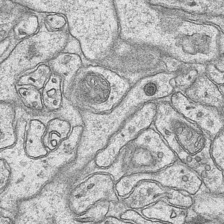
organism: Mouse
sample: CA1 Hippocampus